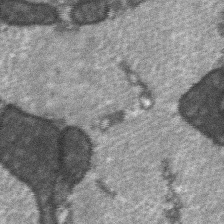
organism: C57BL Mouse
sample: Soleus